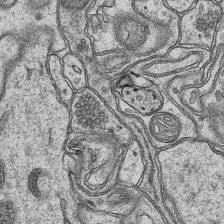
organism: Mouse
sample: CA1 Hippocampus